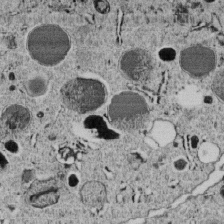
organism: C. elegans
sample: C. elegans embryo early stage